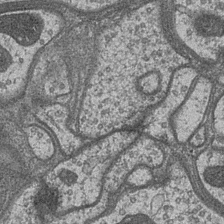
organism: Drosophila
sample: Optic medulla